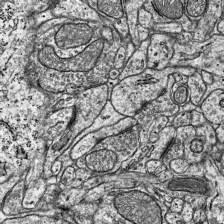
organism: Mouse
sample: Visual Cortex